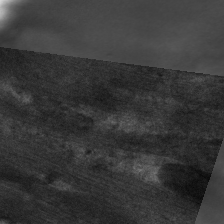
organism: C. elegans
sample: Pharynx